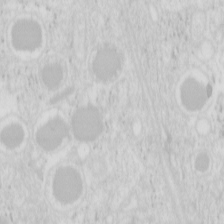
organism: Mouse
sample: Pancreas